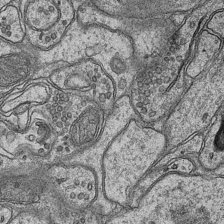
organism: Mouse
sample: CA1 Hippocampus